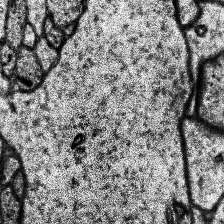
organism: Human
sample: Temporal Lobe